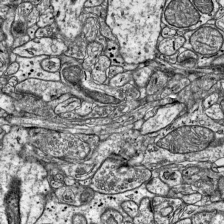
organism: Mouse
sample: Visual Cortex